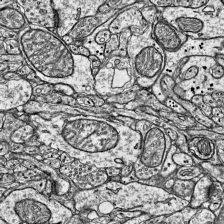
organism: Mouse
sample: Visual Cortex